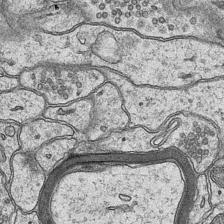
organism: Mouse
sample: CA1 Hippocampus